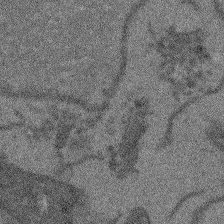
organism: Arabidopsis thaliana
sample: Root tip